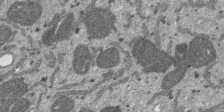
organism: Human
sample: Lung epithelial cells infected with SARS-CoV-2